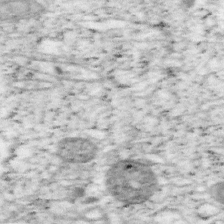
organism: Mouse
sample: OT-I killer T cells with ID8 ovarian cancer cells